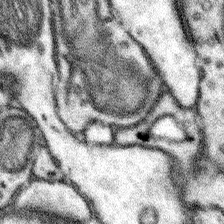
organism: Mouse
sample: Somatosensory cortex neuropil